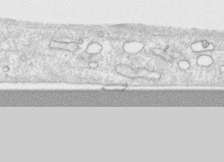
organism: Human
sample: CRL-1474